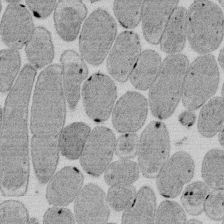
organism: E. coli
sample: Bacterial nucleoid